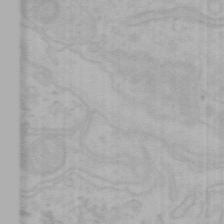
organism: Mouse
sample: Choroid plexus